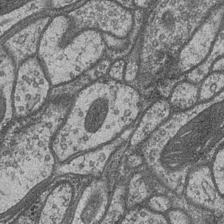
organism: Drosophila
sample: Optic medulla